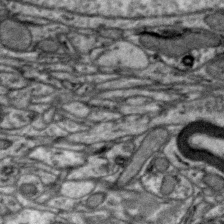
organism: Zebra finch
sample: Brain